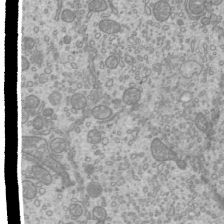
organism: Mouse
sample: Cilia; mouse epididymis